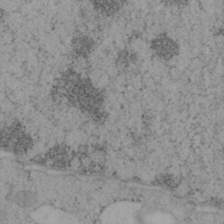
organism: Mouse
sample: OT-I killer T cells with ID8 ovarian cancer cells